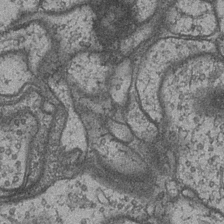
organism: Drosophila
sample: Optic medulla